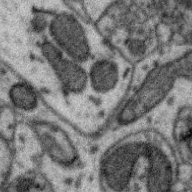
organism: Zebra finch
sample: Brain